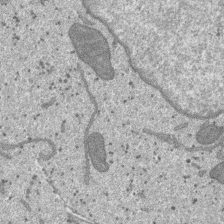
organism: Human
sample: Lung epithelial cells infected with SARS-CoV-2